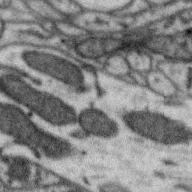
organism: Zebra finch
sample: Brain